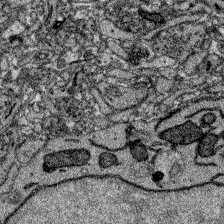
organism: Zebrafish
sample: Larval olfactory bulb